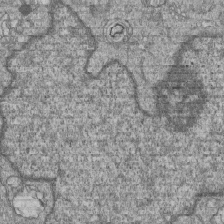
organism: Human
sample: MDA-MB-231 cells